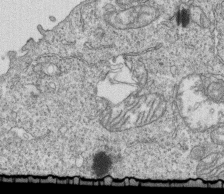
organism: Human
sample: HeLa cell HIV synapse